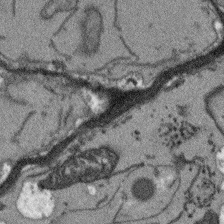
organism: Arabidopsis thaliana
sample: Root tip